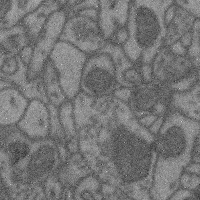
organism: Mouse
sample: Cerebral cortex